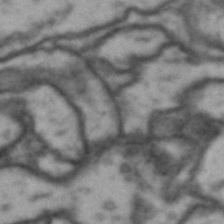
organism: Drosophila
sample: Brain